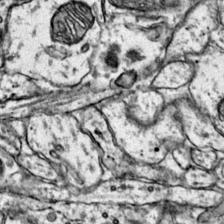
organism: Mouse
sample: Primary visual cortex